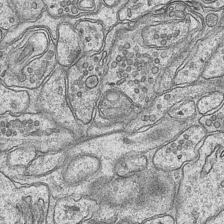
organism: Mouse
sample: CA1 Hippocampus